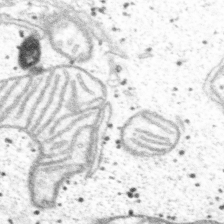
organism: Human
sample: HeLa cells